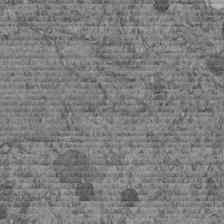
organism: C. elegans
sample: C. elegans embryo early stage